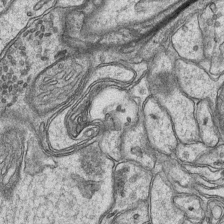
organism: Mouse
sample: CA1 Hippocampus